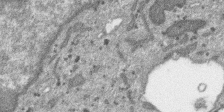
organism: Human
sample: Lung epithelial cells infected with SARS-CoV-2